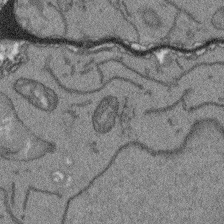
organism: Arabidopsis thaliana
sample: Root tip